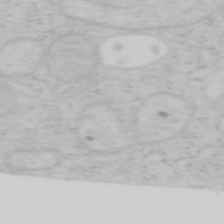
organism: Mouse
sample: OT-I killer T cells with ID8 ovarian cancer cells